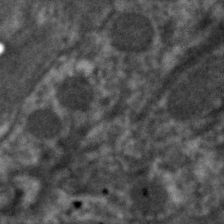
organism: C. elegans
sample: Pharynx